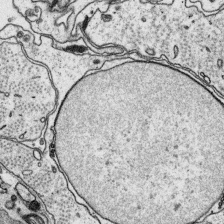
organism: Platynereis dumerilii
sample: Parapodia